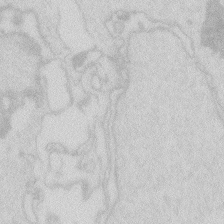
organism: Zebrafish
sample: Macrophage